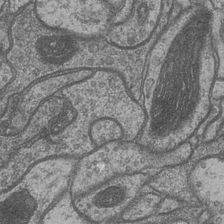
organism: Drosophila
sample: Optic medulla